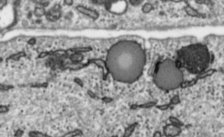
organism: Toxoplasma gondii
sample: Parasites in a vacuole inside a host cell